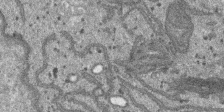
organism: Human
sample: Lung epithelial cells infected with SARS-CoV-2